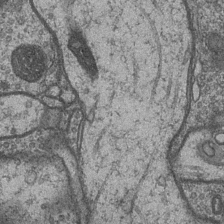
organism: Drosophila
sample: Optic medulla